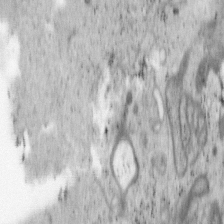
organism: Human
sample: HeLa cells